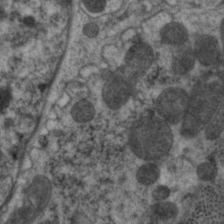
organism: C. elegans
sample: Pharynx